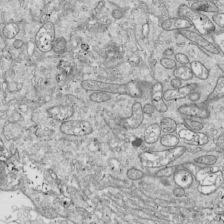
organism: Drosophila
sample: Cell division; meiosis; drosophila spermatocytes